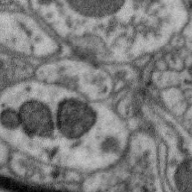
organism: Zebra finch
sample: Brain